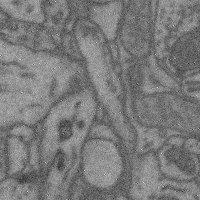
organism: Mouse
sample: Cerebral cortex